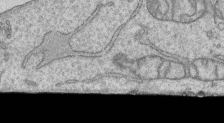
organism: Human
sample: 1205lu cells